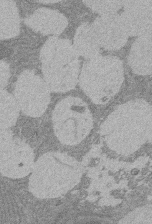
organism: Rat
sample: Salivary granule